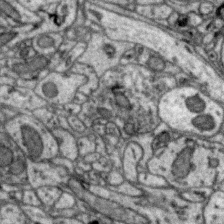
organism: Zebra finch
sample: Brain